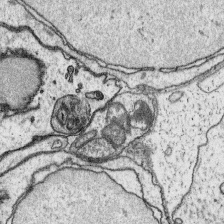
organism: Platynereis dumerilii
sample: Parapodia